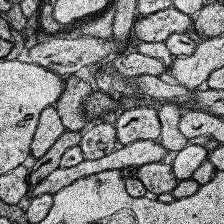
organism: Human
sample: Temporal Lobe